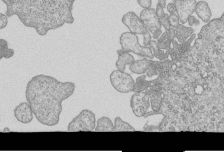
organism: Human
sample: MDA-MB-231 cells